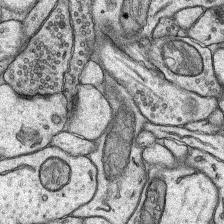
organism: Rat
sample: Hippocampus